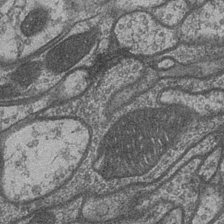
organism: Drosophila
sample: Optic medulla